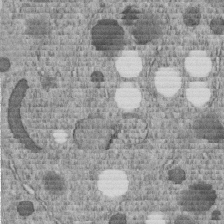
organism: C. elegans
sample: C. elegans embryo early stage